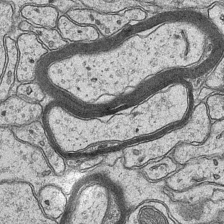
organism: Mouse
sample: CA1 Hippocampus